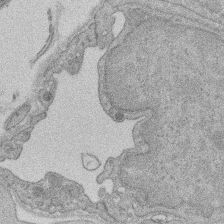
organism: Rat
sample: Salivary granule